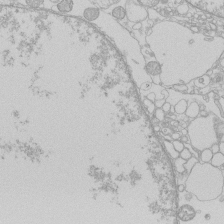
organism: Human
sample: Macrophage cells